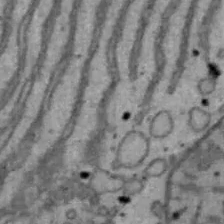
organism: Mouse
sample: Liver